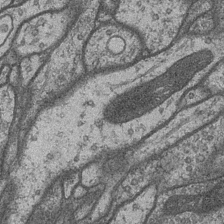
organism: Drosophila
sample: Optic medulla